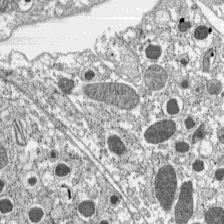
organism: C57BL Mouse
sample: Pancreatic islet